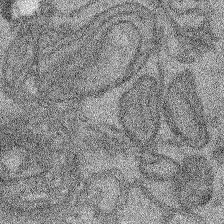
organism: Human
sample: HeLa cells